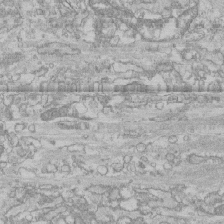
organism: Human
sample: CRL-1474